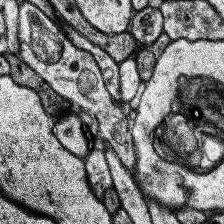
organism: Human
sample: Temporal Lobe